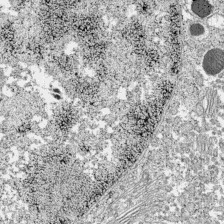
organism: C57BL Mouse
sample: Pancreatic islet